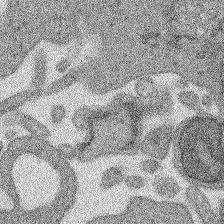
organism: Human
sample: HeLa cells